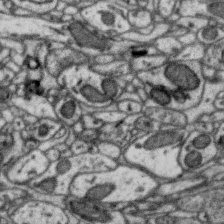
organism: Zebra finch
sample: Brain